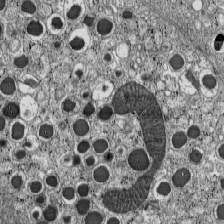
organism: C57BL Mouse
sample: Pancreatic islet